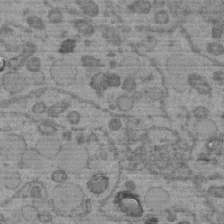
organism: C. elegans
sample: C. elegans embryo early stage